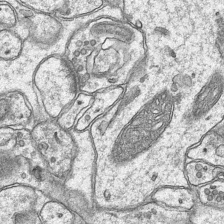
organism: Mouse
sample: CA1 Hippocampus